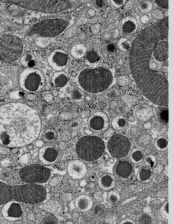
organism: C57BL Mouse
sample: Pancreatic islet